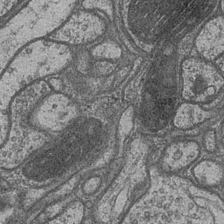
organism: Drosophila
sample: Optic medulla